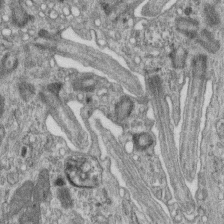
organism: Mouse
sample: Centriole in ependymal cells